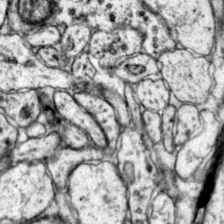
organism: Mouse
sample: Primary visual cortex